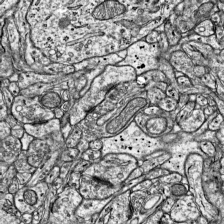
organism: Mouse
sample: Visual Cortex